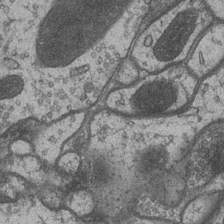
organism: Drosophila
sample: Optic medulla